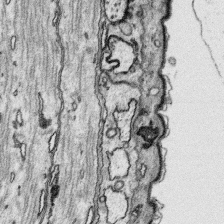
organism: Platynereis dumerilii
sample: Parapodia